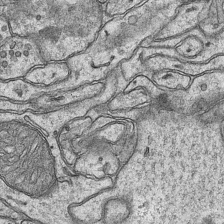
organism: Mouse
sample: CA1 Hippocampus